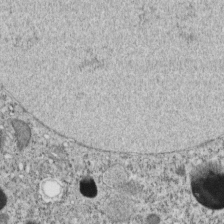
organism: C. elegans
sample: C. elegans embryo early stage